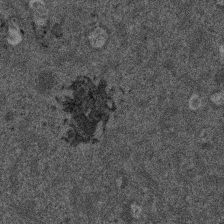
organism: Mouse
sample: Dividing mouse embryo 1 cell stage